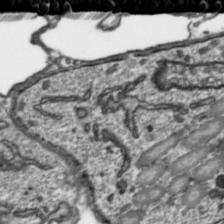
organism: Toxoplasma gondii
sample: Parasites in a vacuole inside a host cell